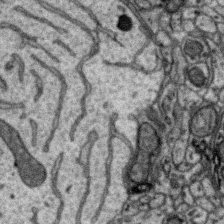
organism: Zebra finch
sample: Brain